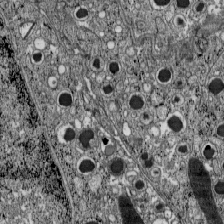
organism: C57BL Mouse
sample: Pancreatic islet